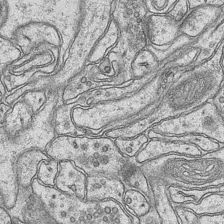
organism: Mouse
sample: CA1 Hippocampus